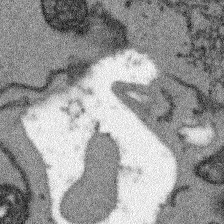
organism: Arabidopsis thaliana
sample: Root tip